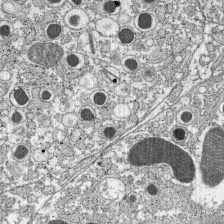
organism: C57BL Mouse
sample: Pancreatic islet